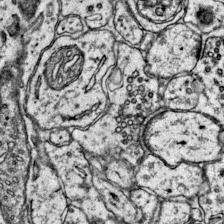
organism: Mouse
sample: Primary visual cortex